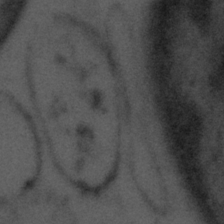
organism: Tuwongella immobilis